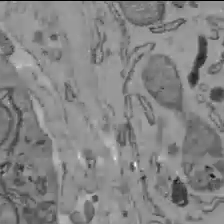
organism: C57BL Mouse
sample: Liver